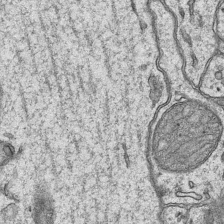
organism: Mouse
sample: CA1 Hippocampus